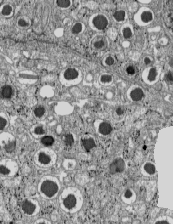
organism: C57BL Mouse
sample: Pancreatic islet